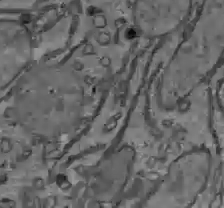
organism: C57BL Mouse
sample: Liver